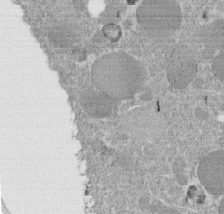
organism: C. elegans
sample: C. elegans embryo early stage